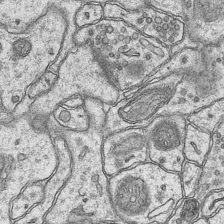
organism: Mouse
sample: CA1 Hippocampus